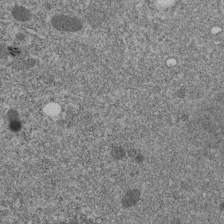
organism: C. elegans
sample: C. elegans embryo early stage